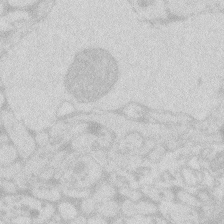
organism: Zebrafish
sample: Macrophage